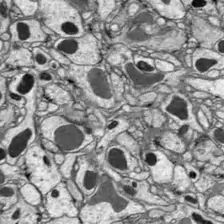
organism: Drosophila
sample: Optic lobe